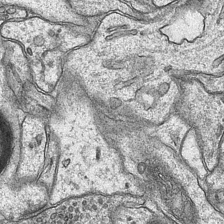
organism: Mouse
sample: CA1 Hippocampus